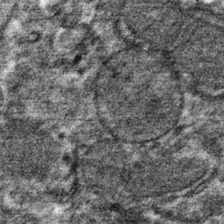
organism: Mouse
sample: Mouse hepatocytes